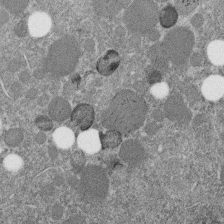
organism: C. elegans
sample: C. elegans embryo early stage